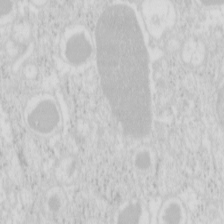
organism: Mouse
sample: Pancreas